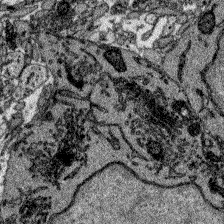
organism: Zebrafish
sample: Larval olfactory bulb